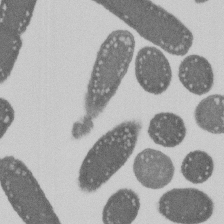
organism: E. coli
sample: Bacterial nucleoid